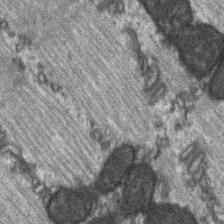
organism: C57BL Mouse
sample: Soleus